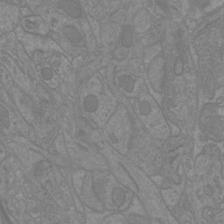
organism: Mouse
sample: Cortical neurons